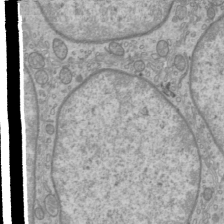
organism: Mouse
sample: Cilia; mouse epididymis